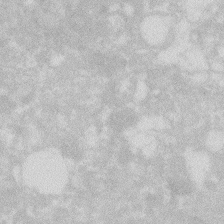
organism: Zebrafish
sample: Macrophage